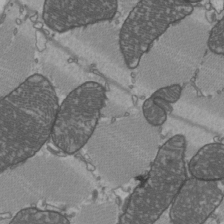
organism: C57BL Mouse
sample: Heart